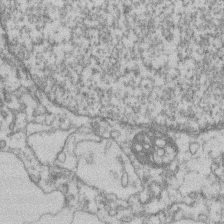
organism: Mouse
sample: T cell stromal cell synapse